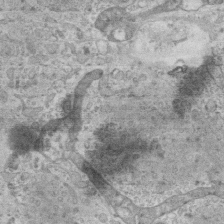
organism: Mouse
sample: Centriole in ependymal cells